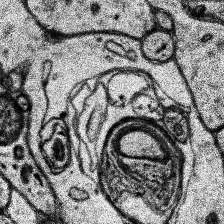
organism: Human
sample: Temporal Lobe